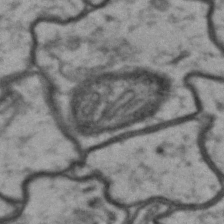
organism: Drosophila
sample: Brain